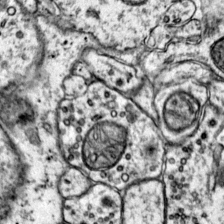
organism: Mouse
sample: Primary visual cortex